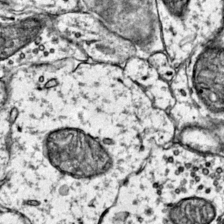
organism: Mouse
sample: Primary visual cortex